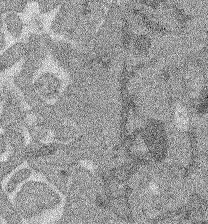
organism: Human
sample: HeLa cells